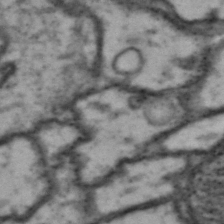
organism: Drosophila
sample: Brain